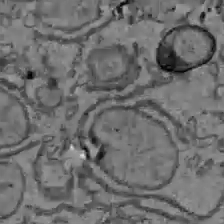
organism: C57BL Mouse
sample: Liver